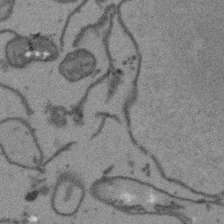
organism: Arabidopsis thaliana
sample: Root tip